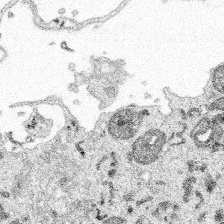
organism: Spongilla lacustris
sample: Multiple